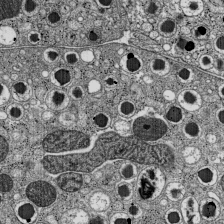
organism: C57BL Mouse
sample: Pancreatic islet